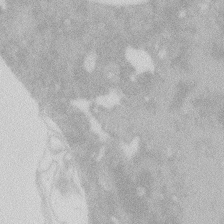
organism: Zebrafish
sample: Macrophage